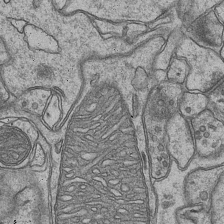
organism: Mouse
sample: CA1 Hippocampus